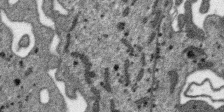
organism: Human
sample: Lung epithelial cells infected with SARS-CoV-2